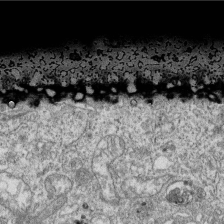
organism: Human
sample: HeLa cell HIV synapse